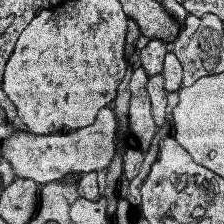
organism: Human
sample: Temporal Lobe